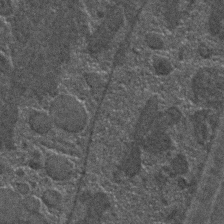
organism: C. elegans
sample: C. elegans embryo